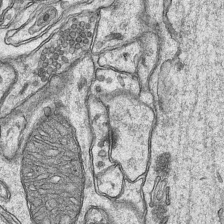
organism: Mouse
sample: CA1 Hippocampus